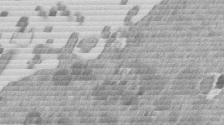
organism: Mouse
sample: Dividing mouse embryo 1 cell stage